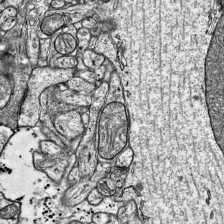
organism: Mouse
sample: Visual Cortex